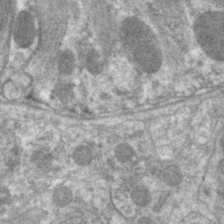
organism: C. elegans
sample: Pharynx